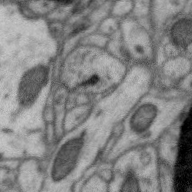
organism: Zebra finch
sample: Brain